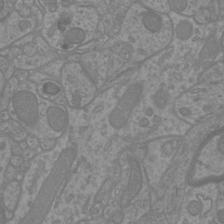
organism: Mouse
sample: Cortical neurons